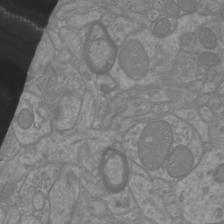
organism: Mouse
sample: Cortical neurons